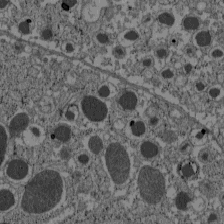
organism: C57BL Mouse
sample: Pancreatic islet